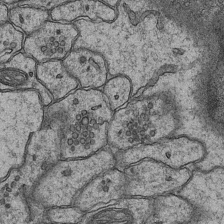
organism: Mouse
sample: CA1 Hippocampus